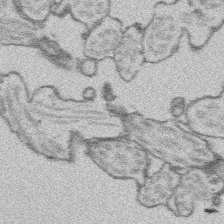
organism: Platynereis dumerilii